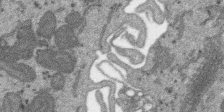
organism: Human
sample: Lung epithelial cells infected with SARS-CoV-2